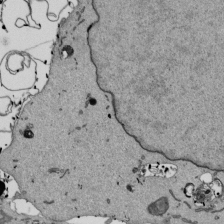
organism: Mouse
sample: ED-1 cell nuclei; centrioles